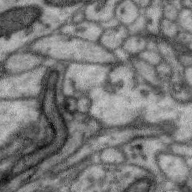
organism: Zebra finch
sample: Brain